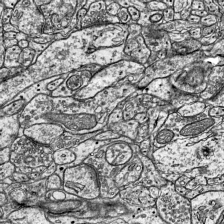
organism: Mouse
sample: Visual Cortex